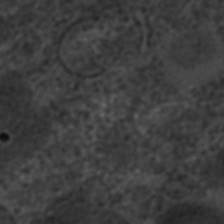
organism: C. elegans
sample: C. elegans embryo